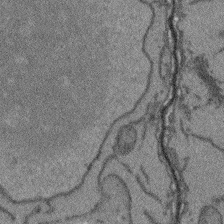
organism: Arabidopsis thaliana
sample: Root tip